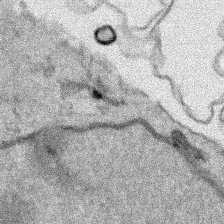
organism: Human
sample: Mitochondria in HCT116 cells